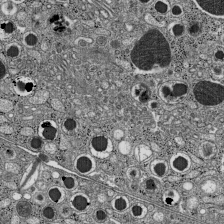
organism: C57BL Mouse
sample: Pancreatic islet